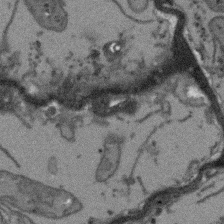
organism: Arabidopsis thaliana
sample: Root tip